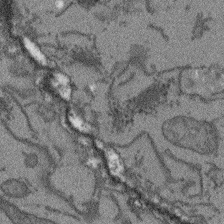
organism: Arabidopsis thaliana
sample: Root tip